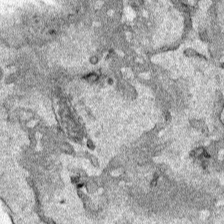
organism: Human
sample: Mitochondria in HCT116 cells